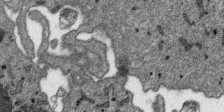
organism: Human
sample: Lung epithelial cells infected with SARS-CoV-2